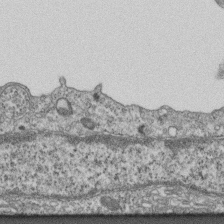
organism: Mouse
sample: Centriole in ependymal cells